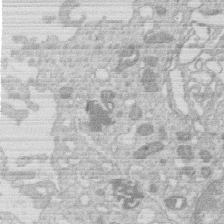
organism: Human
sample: Macrophage cells